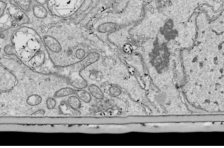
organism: Drosophila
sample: Cell division; meiosis; drosophila spermatocytes